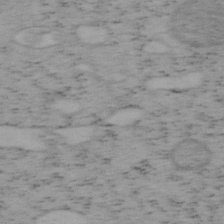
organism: Mouse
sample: OT-I killer T cells with ID8 ovarian cancer cells